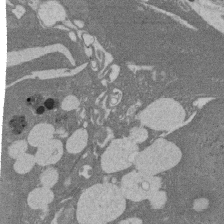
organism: Rat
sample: Salivary granule